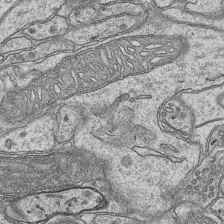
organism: Mouse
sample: CA1 Hippocampus